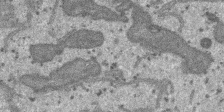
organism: Human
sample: Lung epithelial cells infected with SARS-CoV-2